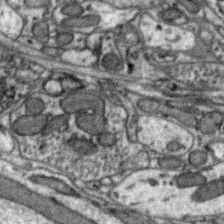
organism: Zebra finch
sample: Brain